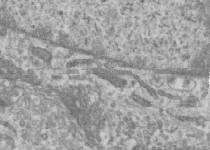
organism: Human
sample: Centriole in RPE cells